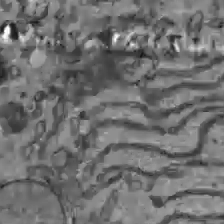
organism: C57BL Mouse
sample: Liver